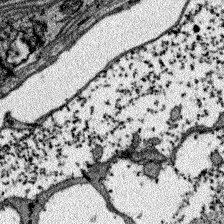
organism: Zebrafish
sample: Larval olfactory bulb